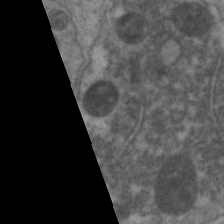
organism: C. elegans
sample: Pharynx